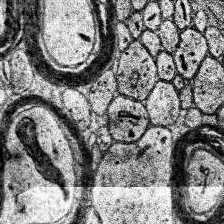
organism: Human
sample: Temporal Lobe